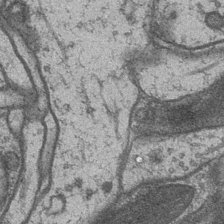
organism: Drosophila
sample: Optic medulla